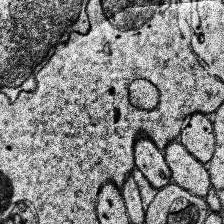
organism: Human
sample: Temporal Lobe